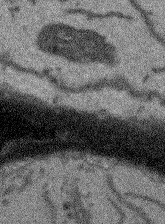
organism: Arabidopsis thaliana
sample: Root tip